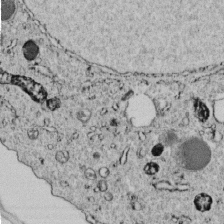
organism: C. elegans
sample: C. elegans embryo early stage